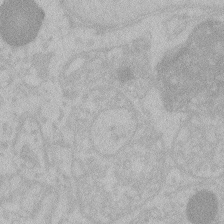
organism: Zebrafish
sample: Macrophage infected with Toxoplasma gondii